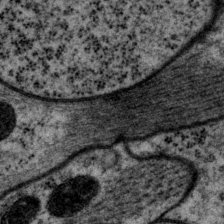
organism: P. pacificus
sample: Pharynx